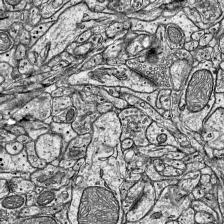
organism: Mouse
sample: Visual Cortex